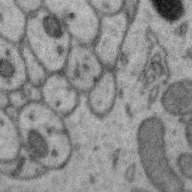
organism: Zebra finch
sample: Brain